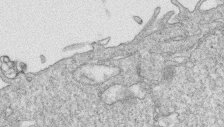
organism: Human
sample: HeLa cell HIV synapse